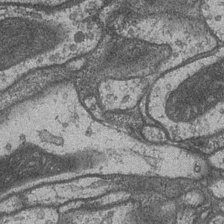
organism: Drosophila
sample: Optic medulla